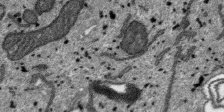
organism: Human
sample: Lung epithelial cells, uninfected (mock) control